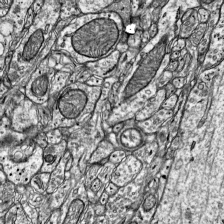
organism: Mouse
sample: Visual Cortex